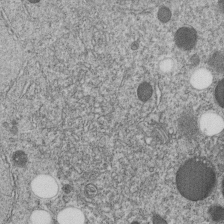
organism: C. elegans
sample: C. elegans embryo early stage